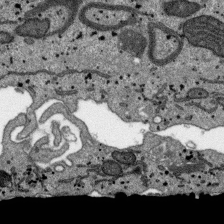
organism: Human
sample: Lung epithelial cells, uninfected (mock) control